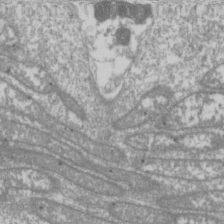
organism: Drosophila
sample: Cell division; meiosis; drosophila spermatocytes